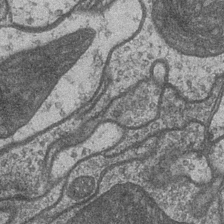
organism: Drosophila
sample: Optic medulla